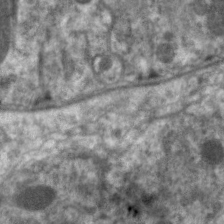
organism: C. elegans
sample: Pharynx